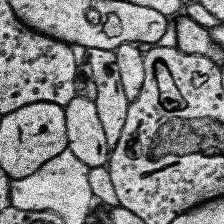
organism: Human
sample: Temporal Lobe